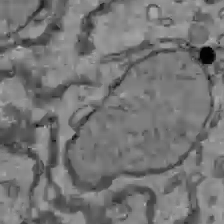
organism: C57BL Mouse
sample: Liver